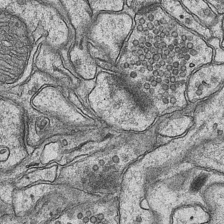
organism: Mouse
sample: CA1 Hippocampus